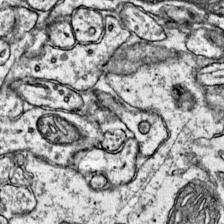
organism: Mouse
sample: Primary visual cortex